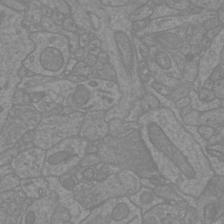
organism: Mouse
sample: Cortical neurons